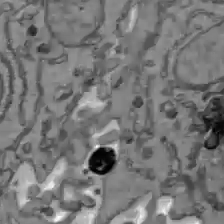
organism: C57BL Mouse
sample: Liver